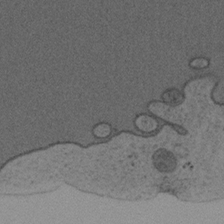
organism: Human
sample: HeLa cells